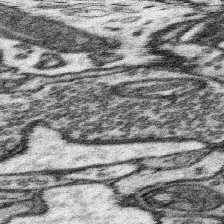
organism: Mouse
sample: Somatosensory cortex neuropil